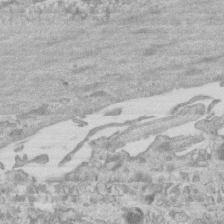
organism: Mouse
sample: Centriole in ependymal cells